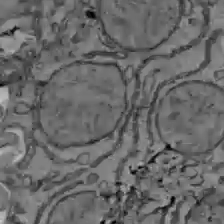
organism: C57BL Mouse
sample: Liver